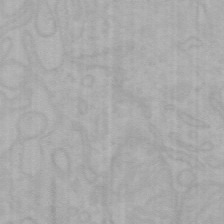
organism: Mouse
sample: Choroid plexus